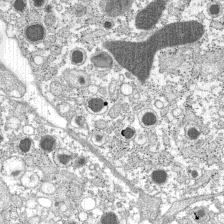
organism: C57BL Mouse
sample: Pancreatic islet